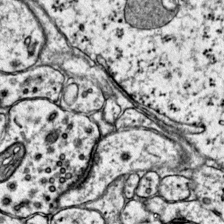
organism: Mouse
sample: Primary visual cortex